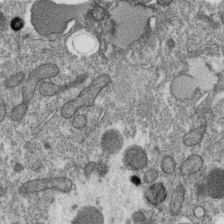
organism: C. elegans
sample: C. elegans oocyte; sperm cells